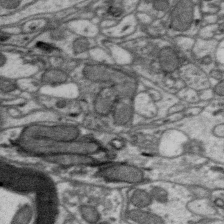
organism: Zebra finch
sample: Brain